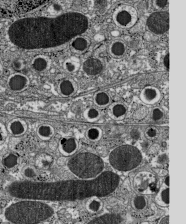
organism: C57BL Mouse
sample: Pancreatic islet